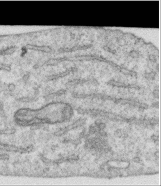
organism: Human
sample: Centriole in RPE cells